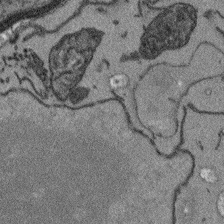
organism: Arabidopsis thaliana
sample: Root tip